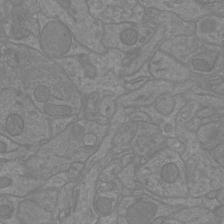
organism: Mouse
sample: Cortical neurons